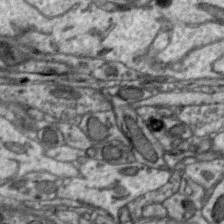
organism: Zebra finch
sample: Brain